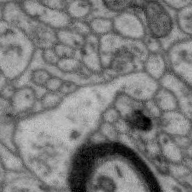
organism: Zebra finch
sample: Brain